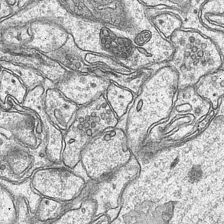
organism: Mouse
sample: CA1 Hippocampus